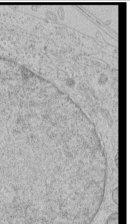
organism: Human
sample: Mitochondria in HCT116 cells